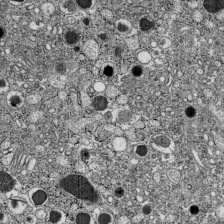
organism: C57BL Mouse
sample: Pancreatic islet